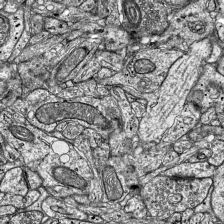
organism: Mouse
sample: Visual Cortex